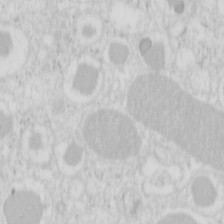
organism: Mouse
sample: Pancreas